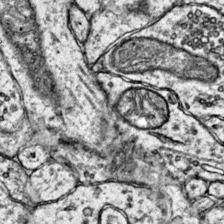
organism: Mouse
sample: Primary visual cortex